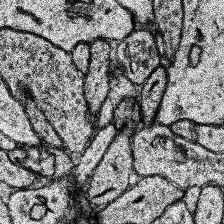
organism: Human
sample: Temporal Lobe